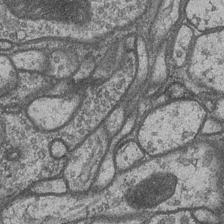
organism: Drosophila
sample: Optic medulla